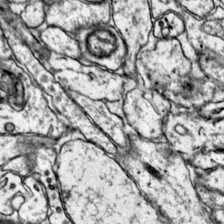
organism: Mouse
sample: Primary visual cortex